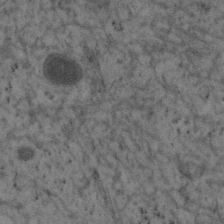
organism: Human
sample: HeLa cells